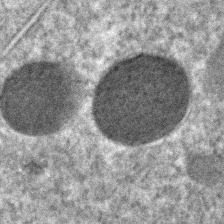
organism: C. elegans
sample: C. elegans embryo